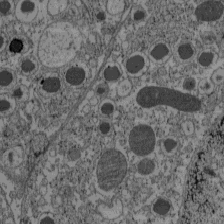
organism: C57BL Mouse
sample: Pancreatic islet